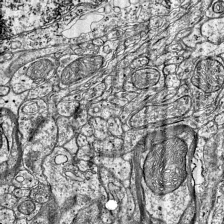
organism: Mouse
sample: Visual Cortex